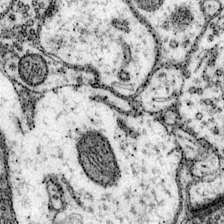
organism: Mouse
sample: Primary visual cortex